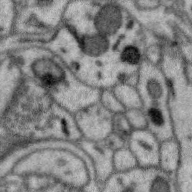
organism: Zebra finch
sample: Brain